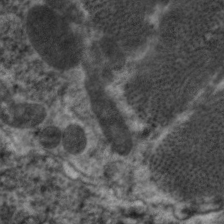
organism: C. elegans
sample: Pharynx